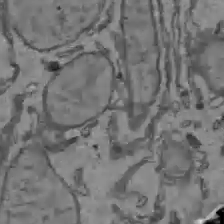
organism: C57BL Mouse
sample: Liver